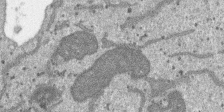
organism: Human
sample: Lung epithelial cells infected with SARS-CoV-2